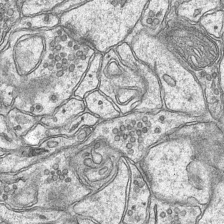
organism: Mouse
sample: CA1 Hippocampus